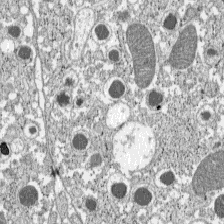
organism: C57BL Mouse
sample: Pancreatic islet